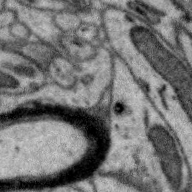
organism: Zebra finch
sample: Brain